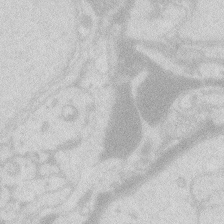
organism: Zebrafish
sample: Macrophage